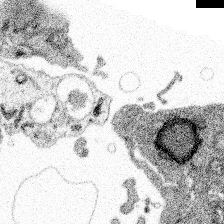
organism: Spongilla lacustris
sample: Multiple